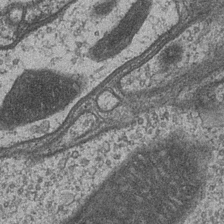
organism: Drosophila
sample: Optic medulla